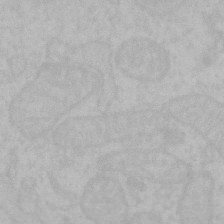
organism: Mouse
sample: Choroid plexus